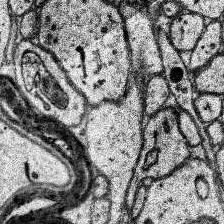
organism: Human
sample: Temporal Lobe